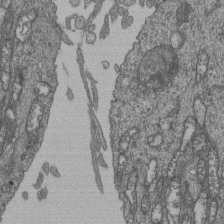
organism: Human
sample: Retinal organoid Rod and Cone cells